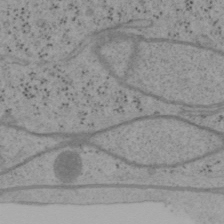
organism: Human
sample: HeLa cells